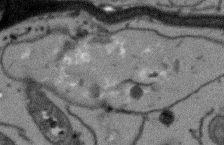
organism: Arabidopsis thaliana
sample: Root tip